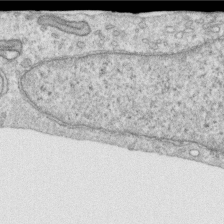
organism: Human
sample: Centriole in RPE cells